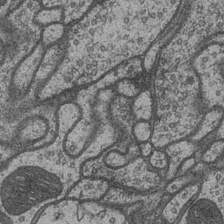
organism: Drosophila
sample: Optic medulla